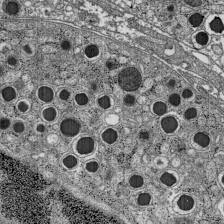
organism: C57BL Mouse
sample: Pancreatic islet